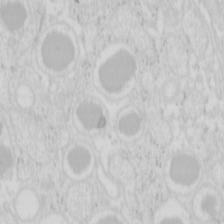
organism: Mouse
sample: Pancreas